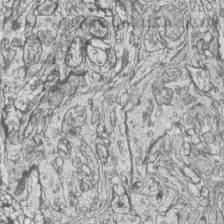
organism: Zebrafish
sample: synaptic ribbons in rod cells and cone cells